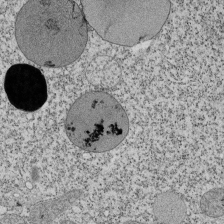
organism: Tetrahymena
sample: Cilia in tetrahymena